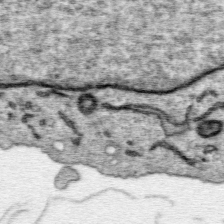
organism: Human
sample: HeLa cells